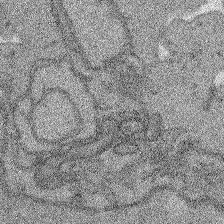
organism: Human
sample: HeLa cells